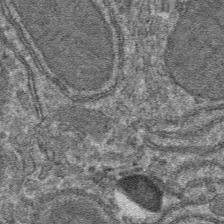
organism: Mouse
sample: Mouse hepatocytes